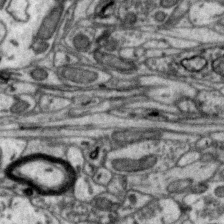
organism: Zebra finch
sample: Brain